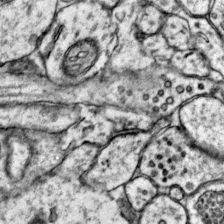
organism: Mouse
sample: Primary visual cortex